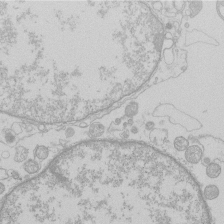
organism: Human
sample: Macrophage cells